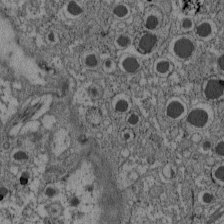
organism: C57BL Mouse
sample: Pancreatic islet